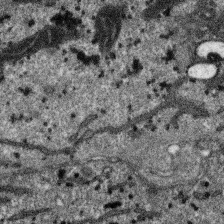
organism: Human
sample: Lung epithelial cells infected with SARS-CoV-2